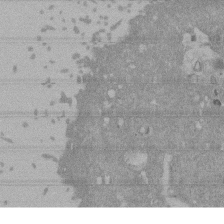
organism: Mouse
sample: ED-1 cell nuclei; centrioles